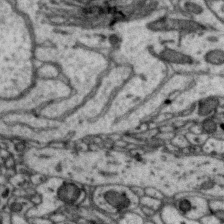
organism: Zebra finch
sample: Brain